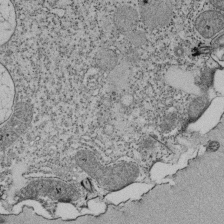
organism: Tetrahymena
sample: Cilia in tetrahymena